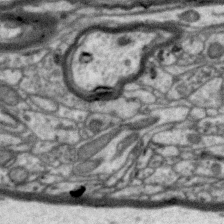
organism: Zebra finch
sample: Brain